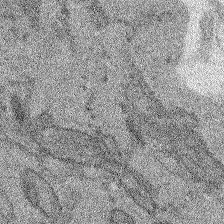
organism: Human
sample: HeLa cells